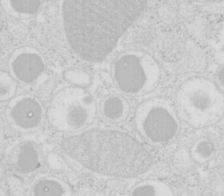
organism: Mouse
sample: Pancreas